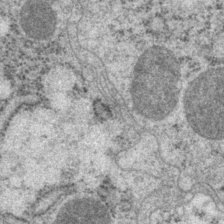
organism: P. pacificus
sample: Pharynx